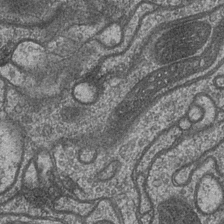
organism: Drosophila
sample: Optic medulla